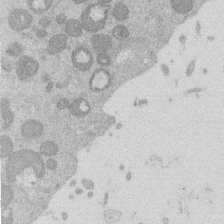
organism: Mouse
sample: Dividing mouse embryo 1 cell stage